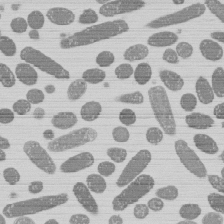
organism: E. coli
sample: Bacterial nucleoid